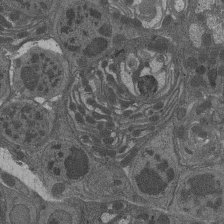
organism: Drosophila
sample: Antenna